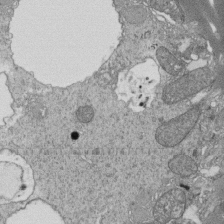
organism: Tetrahymena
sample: Cilia in tetrahymena